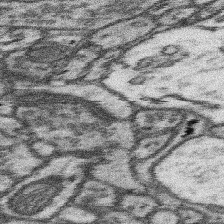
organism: Mouse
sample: Somatosensory cortex neuropil